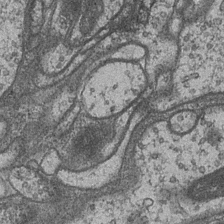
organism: Drosophila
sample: Optic medulla